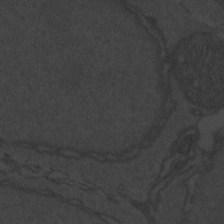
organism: Zebrafish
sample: Macrophage infected with Toxoplasma gondii